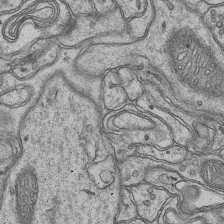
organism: Mouse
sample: CA1 Hippocampus